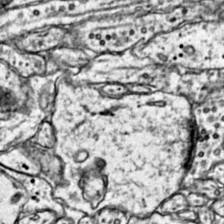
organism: Mouse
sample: Primary visual cortex